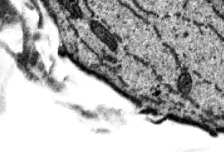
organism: Human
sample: HeLa cells